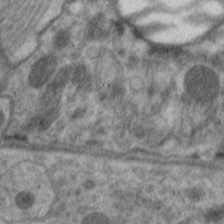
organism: C. elegans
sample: Pharynx